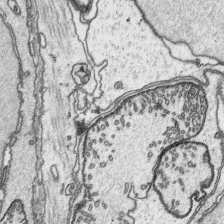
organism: Platynereis dumerilii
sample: Parapodia